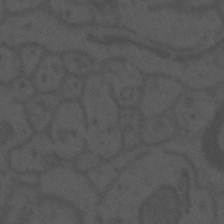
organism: Mouse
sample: Suprachiasmatic nucleus